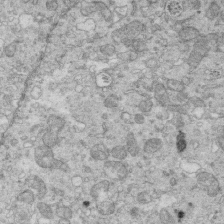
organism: Mouse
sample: Multiciliated cells